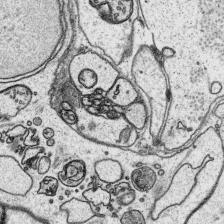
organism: Platynereis dumerilii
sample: Parapodia